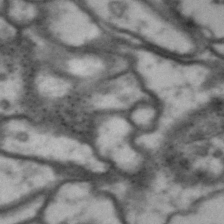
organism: Drosophila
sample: Brain